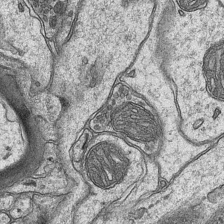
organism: Mouse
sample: CA1 Hippocampus